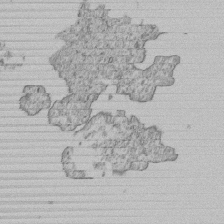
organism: Human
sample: MDA-MB-231 cells